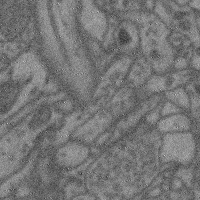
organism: Mouse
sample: Cerebral cortex